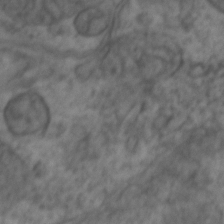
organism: Zebrafish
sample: Zebrafish embryo